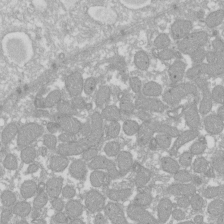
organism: Xenopus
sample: Cilia; centrioles in frog embryo cells